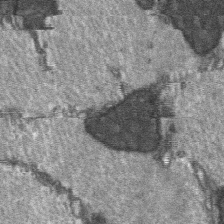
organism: C57BL Mouse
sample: Soleus